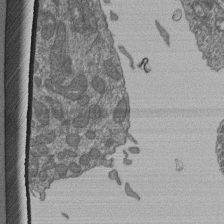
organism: Human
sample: Retinal organoid Rod and Cone cells